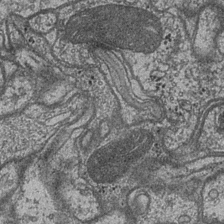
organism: Drosophila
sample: Optic medulla